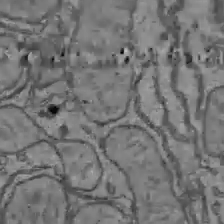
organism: C57BL Mouse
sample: Liver